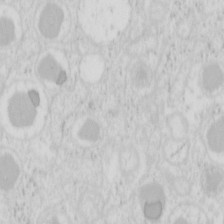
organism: Mouse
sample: Pancreas